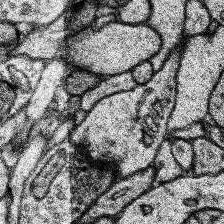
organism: Human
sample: Temporal Lobe